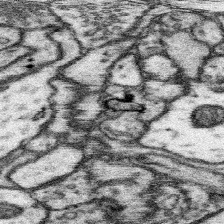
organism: Mouse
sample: Somatosensory cortex neuropil